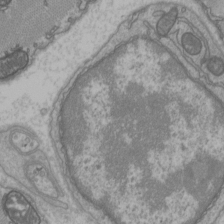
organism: C57BL Mouse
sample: Heart